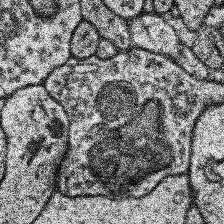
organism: Human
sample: Temporal Lobe